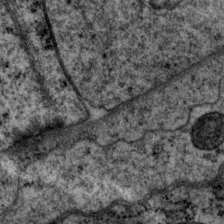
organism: P. pacificus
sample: Pharynx